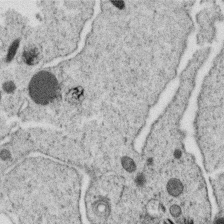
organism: C. elegans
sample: C. elegans oocyte; sperm cells